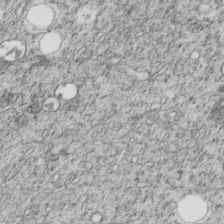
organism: C. elegans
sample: C. elegans embryo early stage